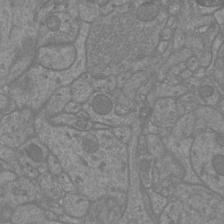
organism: Mouse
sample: Cortical neurons